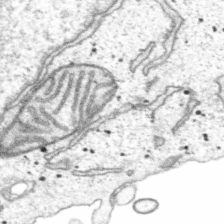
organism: Human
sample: HeLa cells